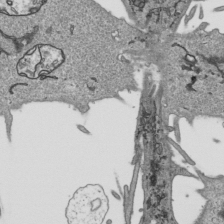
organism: Human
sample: Mitochondria in HCT116 cells